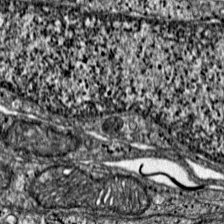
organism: Mouse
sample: Primary visual cortex